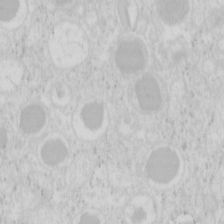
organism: Mouse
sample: Pancreas